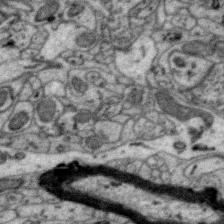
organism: Zebra finch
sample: Brain